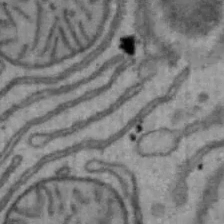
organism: Mouse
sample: Liver